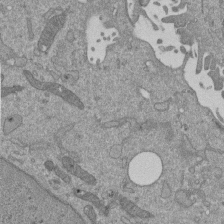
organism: Mouse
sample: ED-1 cell nuclei; centrioles